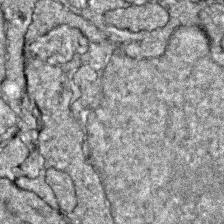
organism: Zebrafish